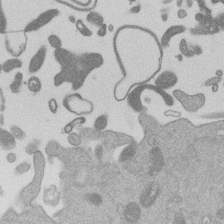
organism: Mouse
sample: Dividing mouse embryo 1 cell stage